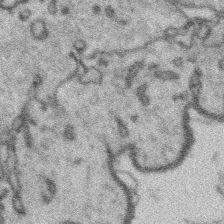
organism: Platynereis dumerilii